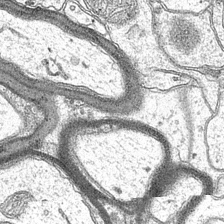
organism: Mouse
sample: CA1 Hippocampus